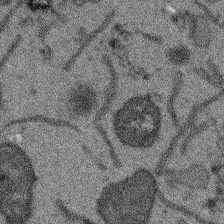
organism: Arabidopsis thaliana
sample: Root tip